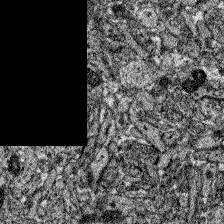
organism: Zebrafish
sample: Larval olfactory bulb